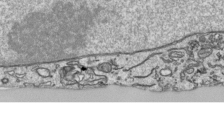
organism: Human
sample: Mitochondria in HCT116 cells